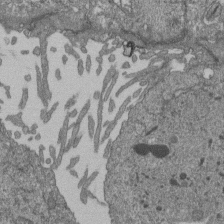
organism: Human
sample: Retinal organoid Rod and Cone cells